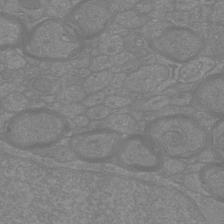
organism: Mouse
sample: Cortical neurons